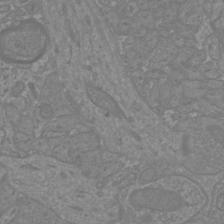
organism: Mouse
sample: Cortical neurons